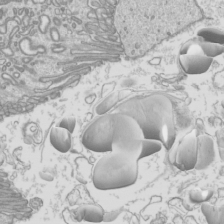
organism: Mouse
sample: Cilia; mouse epididymis